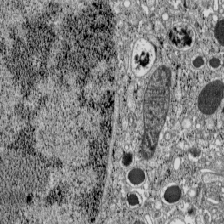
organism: C57BL Mouse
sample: Pancreatic islet